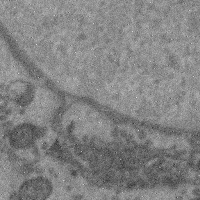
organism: Mouse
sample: Cerebral cortex